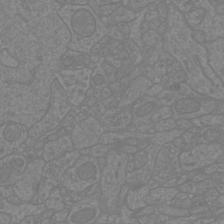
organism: Mouse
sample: Cortical neurons